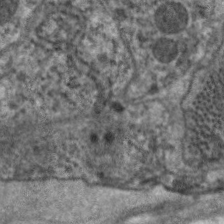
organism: C. elegans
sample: Pharynx